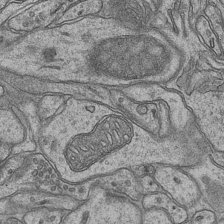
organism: Mouse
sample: CA1 Hippocampus